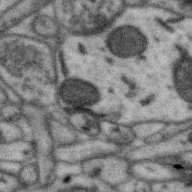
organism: Zebra finch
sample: Brain